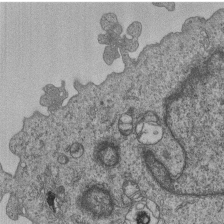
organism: Human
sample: MDA-MB-231 cells